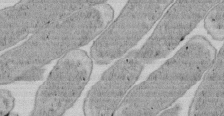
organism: E. coli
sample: Bacterial nucleoid